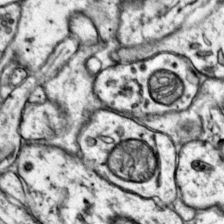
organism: Mouse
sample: Primary visual cortex